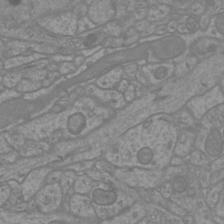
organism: Mouse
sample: Cortical neurons